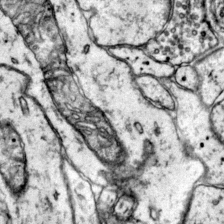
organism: Mouse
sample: Primary visual cortex